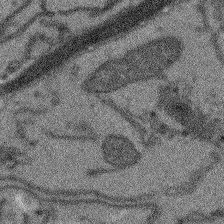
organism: Arabidopsis thaliana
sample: Root tip